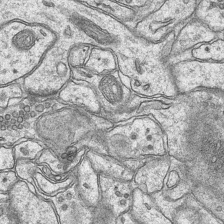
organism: Mouse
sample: CA1 Hippocampus